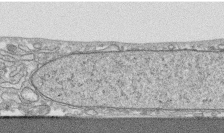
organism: Human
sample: CRL-1474